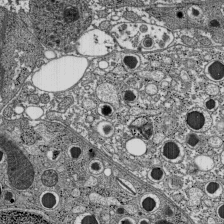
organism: C57BL Mouse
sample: Pancreatic islet